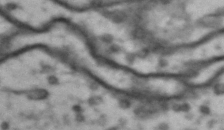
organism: Drosophila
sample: Brain